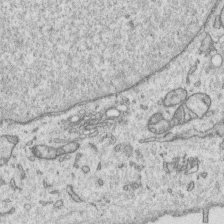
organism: Human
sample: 1205lu cells